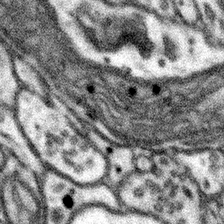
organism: Mouse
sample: Somatosensory cortex neuropil